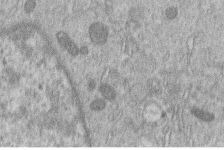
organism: Human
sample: Macrophage cells